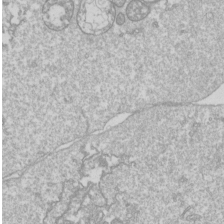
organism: Drosophila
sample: Cell division; meiosis; drosophila spermatocytes